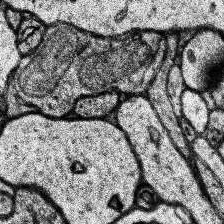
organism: Human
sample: Temporal Lobe